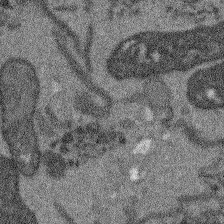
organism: Arabidopsis thaliana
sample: Root tip